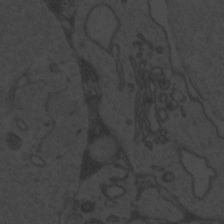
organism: Zebrafish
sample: Macrophage infected with Toxoplasma gondii